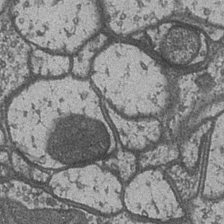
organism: Drosophila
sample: Optic medulla